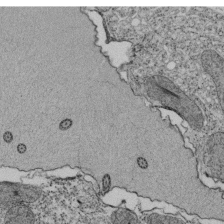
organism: Tetrahymena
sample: Cilia in tetrahymena